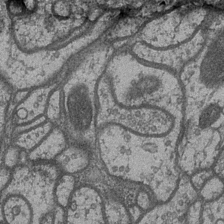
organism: Drosophila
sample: Optic medulla